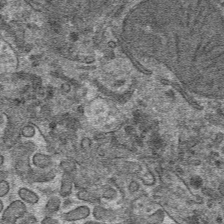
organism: Mouse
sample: Mouse hepatocytes